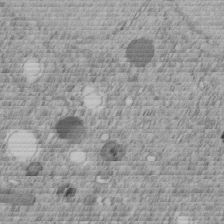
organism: C. elegans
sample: C. elegans embryo early stage